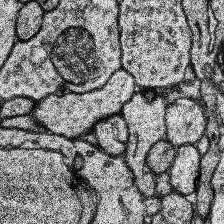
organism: Human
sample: Temporal Lobe